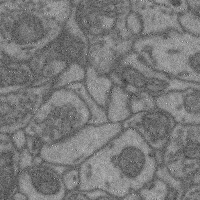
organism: Mouse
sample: Cerebral cortex